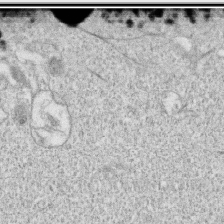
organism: Human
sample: HeLa cell HIV synapse